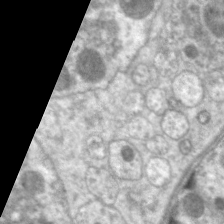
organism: C. elegans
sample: Pharynx